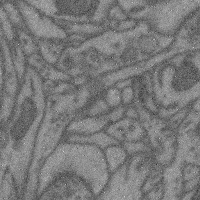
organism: Mouse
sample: Cerebral cortex